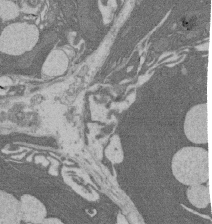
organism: Rat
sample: Salivary granule